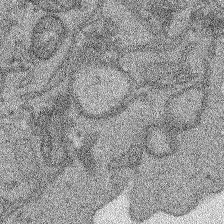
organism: Human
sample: HeLa cells